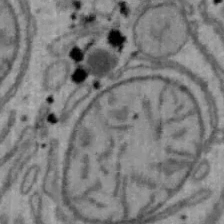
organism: Mouse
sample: Liver